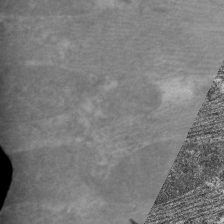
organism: C. elegans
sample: Pharynx